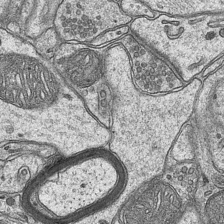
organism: Mouse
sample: CA1 Hippocampus